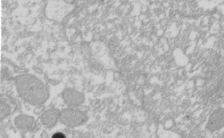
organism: Xenopus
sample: Cilia; centrioles in frog embryo cells